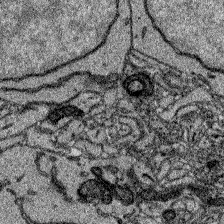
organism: Zebrafish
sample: Larval olfactory bulb